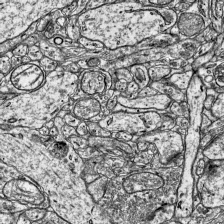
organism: Mouse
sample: Visual Cortex